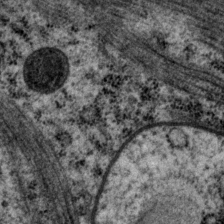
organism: P. pacificus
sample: Pharynx